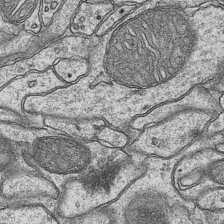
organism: Mouse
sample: CA1 Hippocampus